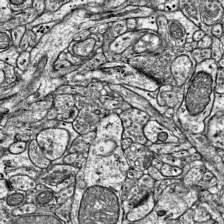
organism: Mouse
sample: Visual Cortex